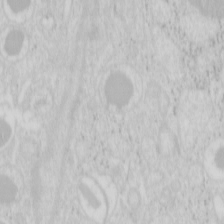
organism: Mouse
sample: Pancreas